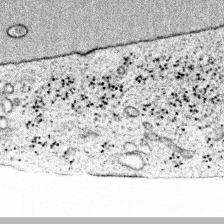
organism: Human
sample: HeLa cells